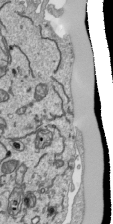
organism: Human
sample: Mitochondria in HCT116 cells